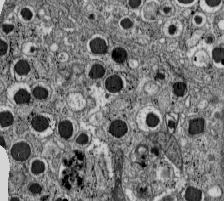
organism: C57BL Mouse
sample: Pancreatic islet